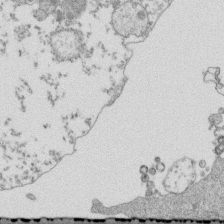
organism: Human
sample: HeLa cell HIV synapse